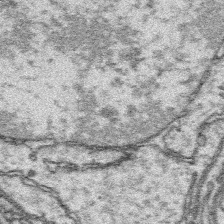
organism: Platynereis dumerilii